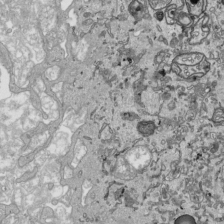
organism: Human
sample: Mitochondria in HCT116 cells